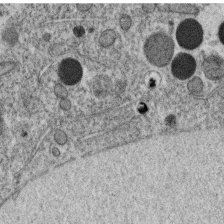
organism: C. elegans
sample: C. elegans oocyte; sperm cells